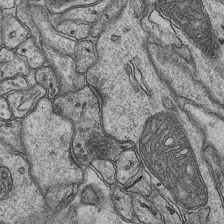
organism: Mouse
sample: CA1 Hippocampus